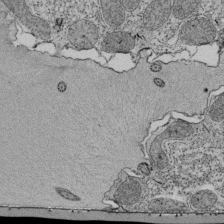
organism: Tetrahymena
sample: Cilia in tetrahymena